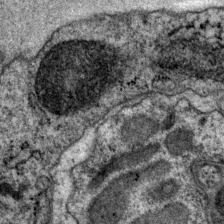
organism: P. pacificus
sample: Pharynx